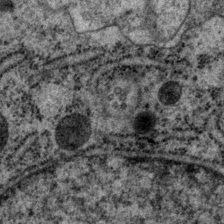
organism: P. pacificus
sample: Pharynx